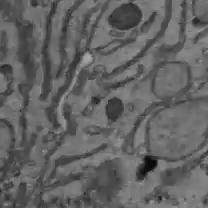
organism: C57BL Mouse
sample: Liver